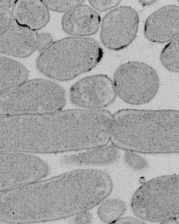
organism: E. coli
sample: Bacterial nucleoid